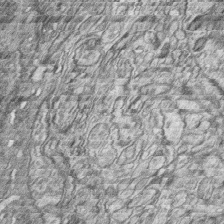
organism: Zebrafish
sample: synaptic ribbons in rod cells and cone cells